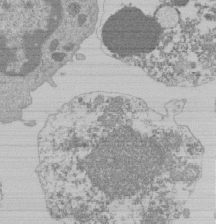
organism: Mouse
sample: Activated Pmel transgenic CD8+ T Cells